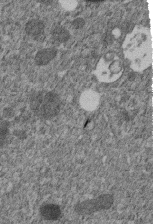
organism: C. elegans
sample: C. elegans embryo early stage